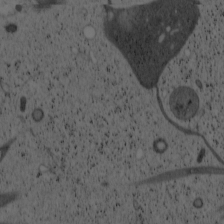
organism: African green monkey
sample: COS-7 cells